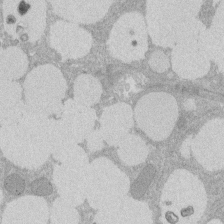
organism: Rat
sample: Salivary granule